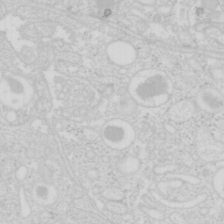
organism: Mouse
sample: Pancreas